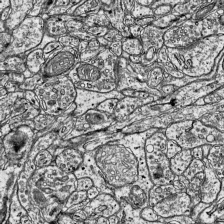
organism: Mouse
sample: Visual Cortex